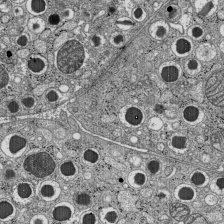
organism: C57BL Mouse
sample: Pancreatic islet